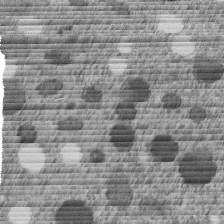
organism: C. elegans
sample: C. elegans embryo early stage